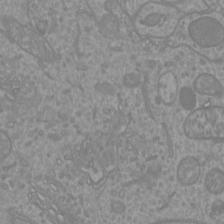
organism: Mouse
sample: Cortical neurons